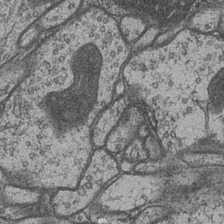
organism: Drosophila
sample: Optic medulla